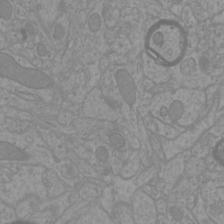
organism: Mouse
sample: Cortical neurons